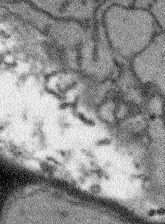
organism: Arabidopsis thaliana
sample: Root tip